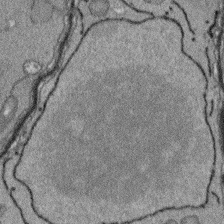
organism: Arabidopsis thaliana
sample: Root tip